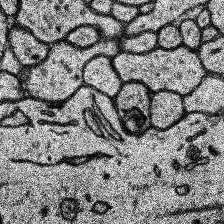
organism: Human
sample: Temporal Lobe